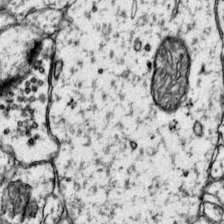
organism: Mouse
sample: Primary visual cortex